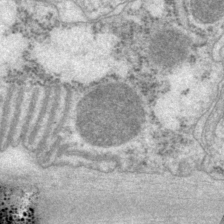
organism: P. pacificus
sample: Pharynx